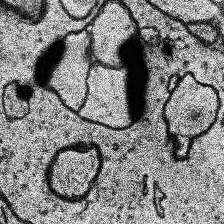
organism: Human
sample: Temporal Lobe